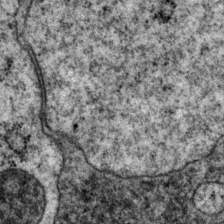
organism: P. pacificus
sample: Pharynx